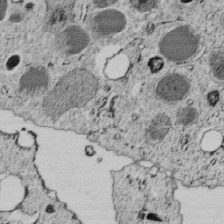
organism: C. elegans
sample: C. elegans embryo early stage